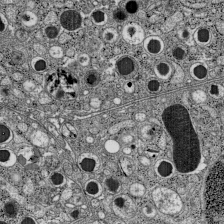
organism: C57BL Mouse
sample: Pancreatic islet